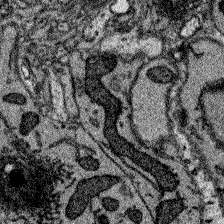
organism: Zebrafish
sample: Larval olfactory bulb